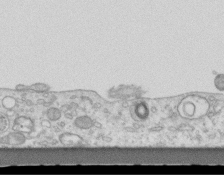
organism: Mouse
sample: Centriole in ependymal cells